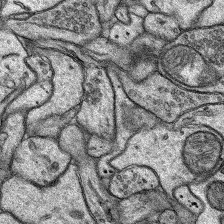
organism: Rat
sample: Hippocampus